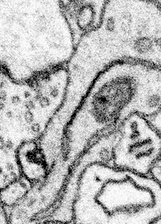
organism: Mouse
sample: Somatosensory cortex neuropil